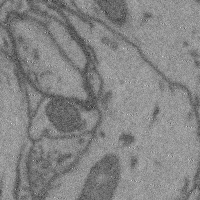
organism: Mouse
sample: Cerebral cortex